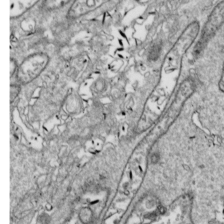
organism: Drosophila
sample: Cell division; meiosis; drosophila spermatocytes